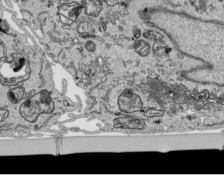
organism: Human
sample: Mitochondria in HCT116 cells